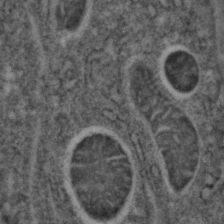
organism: C. elegans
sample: C. elegans embryo